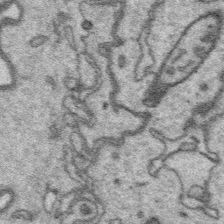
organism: Platynereis dumerilii